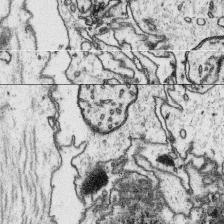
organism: Platynereis dumerilii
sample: Parapodia